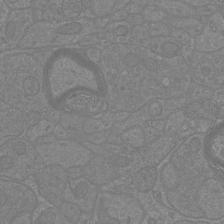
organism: Mouse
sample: Cortical neurons